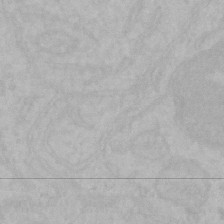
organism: Mouse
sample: Choroid plexus